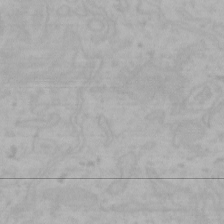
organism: Mouse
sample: Choroid plexus